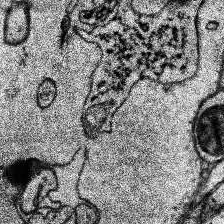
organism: Human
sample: Temporal Lobe